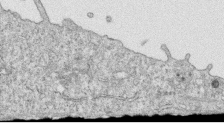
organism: Human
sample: HeLa cell HIV synapse